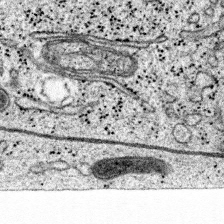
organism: Human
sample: HeLa cells